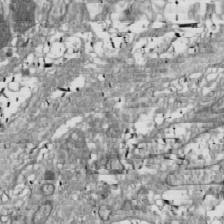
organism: Drosophila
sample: Cell division; meiosis; drosophila spermatocytes